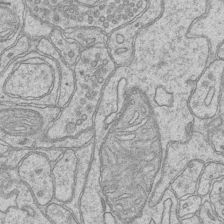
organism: Mouse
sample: CA1 Hippocampus